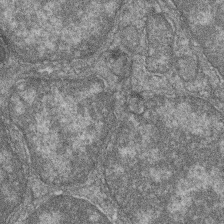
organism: Zebrafish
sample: Cilia; retinal pigment epithelium